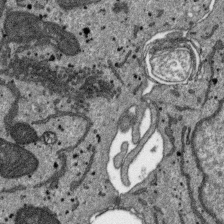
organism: Human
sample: Lung epithelial cells, uninfected (mock) control